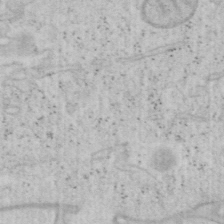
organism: Human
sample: HeLa cells